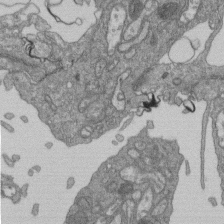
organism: Human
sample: Retinal organoid Rod and Cone cells